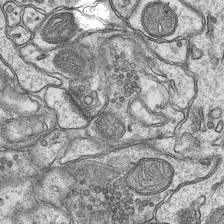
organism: Mouse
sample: CA1 Hippocampus